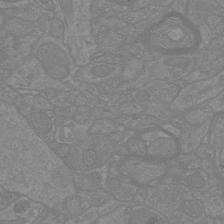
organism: Mouse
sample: Cortical neurons